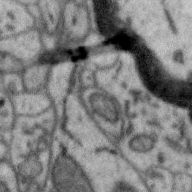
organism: Zebra finch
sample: Brain